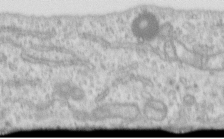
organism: Human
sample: Centriole in RPE cells